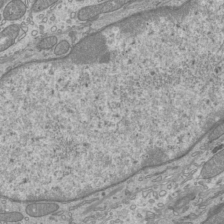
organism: Mouse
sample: Cilia; mouse epididymis